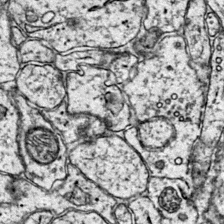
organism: Mouse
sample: Primary visual cortex